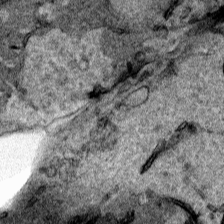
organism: Human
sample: Mitochondria in HCT116 cells